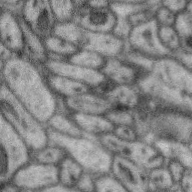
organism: Zebra finch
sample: Brain